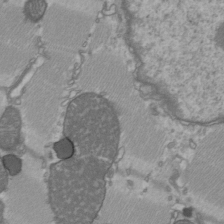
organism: C57BL Mouse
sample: Heart